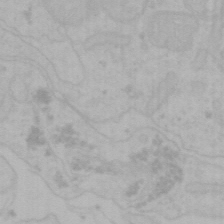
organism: Mouse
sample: Choroid plexus